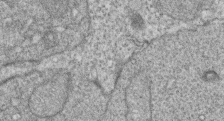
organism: Zebrafish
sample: Cilia; retinal pigment epithelium